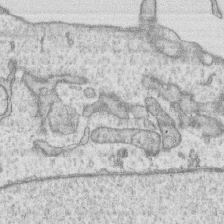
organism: Human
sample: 1205lu cells